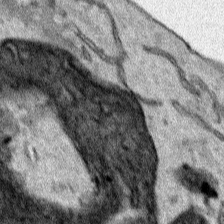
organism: Human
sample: Mitochondria in HCT116 cells